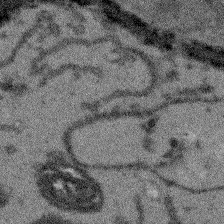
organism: Arabidopsis thaliana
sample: Root tip